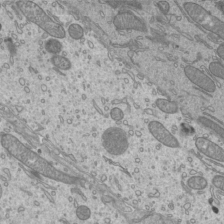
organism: Mouse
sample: Cilia; mouse epididymis